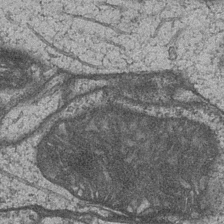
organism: Drosophila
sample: Optic medulla